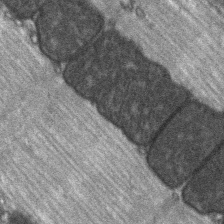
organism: C57BL Mouse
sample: Soleus